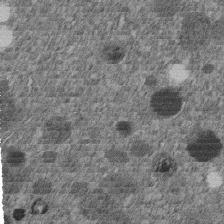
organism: C. elegans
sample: C. elegans embryo early stage